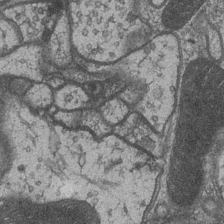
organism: Drosophila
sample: Optic medulla